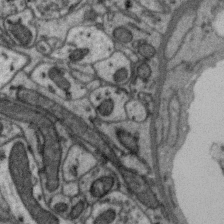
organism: Zebra finch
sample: Brain